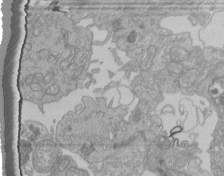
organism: Human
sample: Retinal organoid Rod and Cone cells